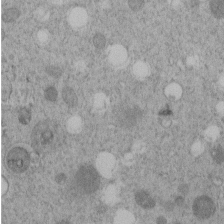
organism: C. elegans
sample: C. elegans embryo early stage